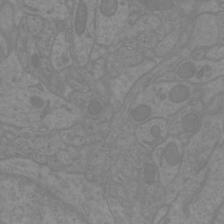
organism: Mouse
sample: Cortical neurons